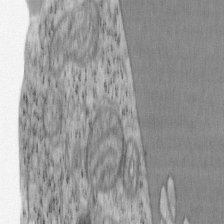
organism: Human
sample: HeLa cells